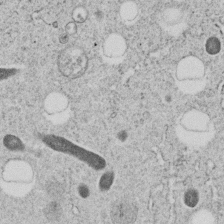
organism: C. elegans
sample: C. elegans embryo early stage